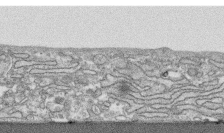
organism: Human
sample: CRL-1474